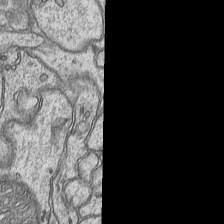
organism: Mouse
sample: CA1 Hippocampus